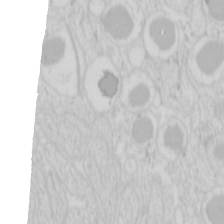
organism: Mouse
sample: Pancreas